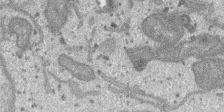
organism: Human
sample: Lung epithelial cells infected with SARS-CoV-2